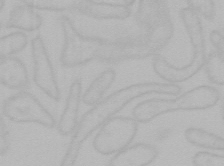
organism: Mouse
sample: Choroid plexus